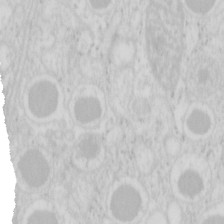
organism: Mouse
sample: Pancreas